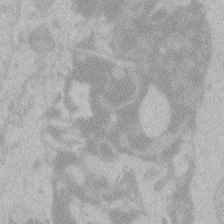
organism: Zebrafish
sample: Macrophage infected with Toxoplasma gondii